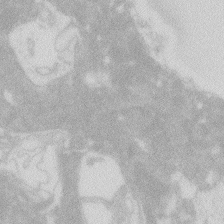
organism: Zebrafish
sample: Macrophage